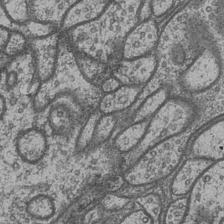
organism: Drosophila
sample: Optic medulla